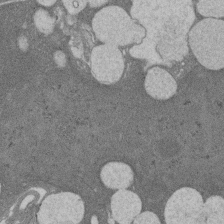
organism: Rat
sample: Salivary granule